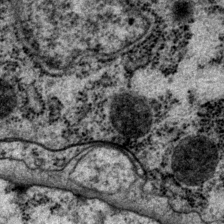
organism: P. pacificus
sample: Pharynx